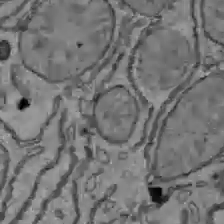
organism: C57BL Mouse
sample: Liver